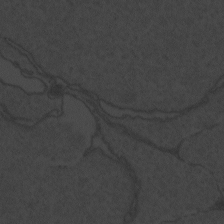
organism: Zebrafish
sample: Macrophage infected with Toxoplasma gondii